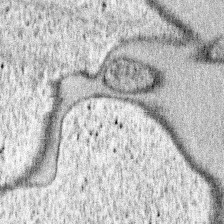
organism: Human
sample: HeLa cells